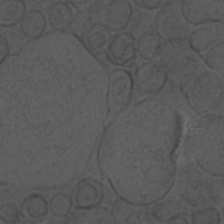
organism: C. elegans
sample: C. elegans embryo